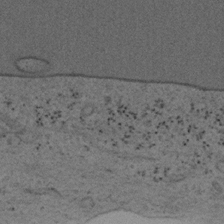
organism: Human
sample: HeLa cells